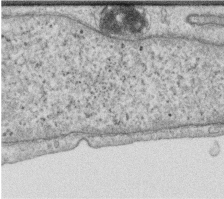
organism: Human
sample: Centriole in RPE cells